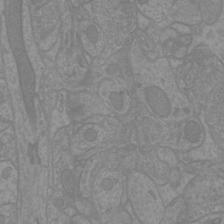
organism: Mouse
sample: Cortical neurons